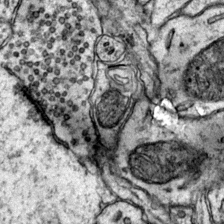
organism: Mouse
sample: Primary visual cortex